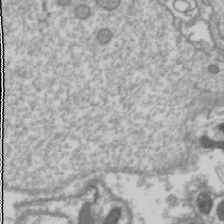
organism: Drosophila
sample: Cell division; meiosis; drosophila spermatocytes